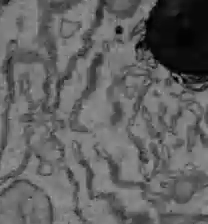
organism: C57BL Mouse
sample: Liver